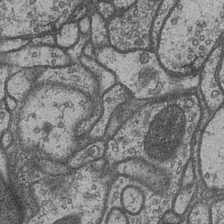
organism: Drosophila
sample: Optic medulla